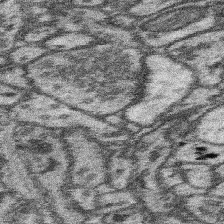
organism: Mouse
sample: Somatosensory cortex neuropil